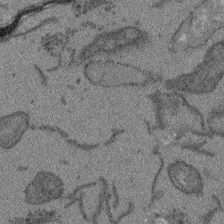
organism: Arabidopsis thaliana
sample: Root tip